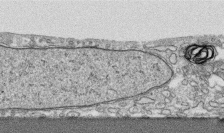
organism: Human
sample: CRL-1474